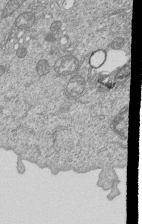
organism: Human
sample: MDA-MB-231 cells